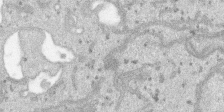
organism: Human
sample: Lung epithelial cells infected with SARS-CoV-2